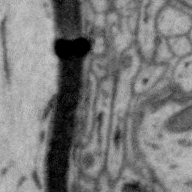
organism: Zebra finch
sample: Brain